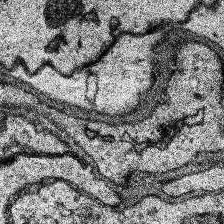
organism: Human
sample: Temporal Lobe